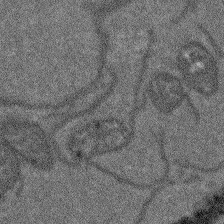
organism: Arabidopsis thaliana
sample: Root tip